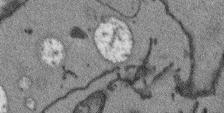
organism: Arabidopsis thaliana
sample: Root tip